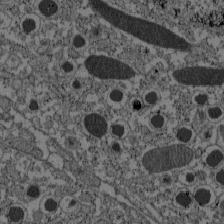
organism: C57BL Mouse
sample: Pancreatic islet